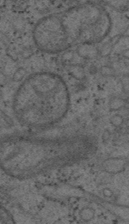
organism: Human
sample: HeLa cells